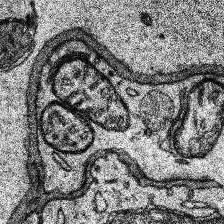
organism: Human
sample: Temporal Lobe